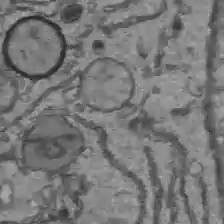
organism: C57BL Mouse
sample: Liver